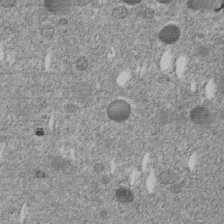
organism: C. elegans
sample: C. elegans embryo early stage